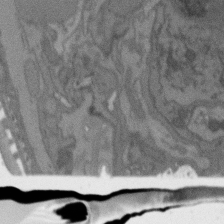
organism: C. elegans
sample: AFD neurons C. elegans